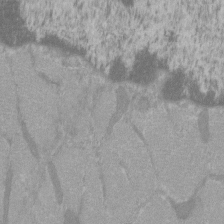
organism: C57BL Mouse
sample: Tibialis anterior muscle cell